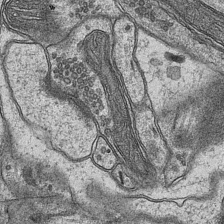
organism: Mouse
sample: CA1 Hippocampus